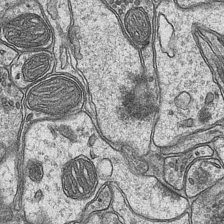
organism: Mouse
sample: CA1 Hippocampus